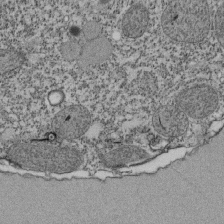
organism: Tetrahymena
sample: Cilia in tetrahymena